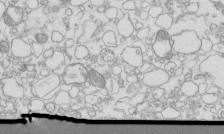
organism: Mouse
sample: Macrophages